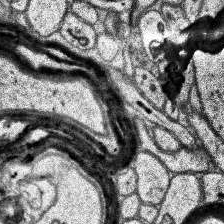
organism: Human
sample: Temporal Lobe